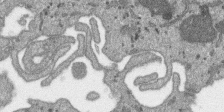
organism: Human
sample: Lung epithelial cells infected with SARS-CoV-2